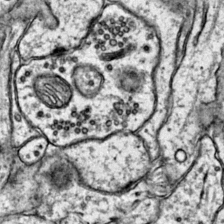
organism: Mouse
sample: Primary visual cortex